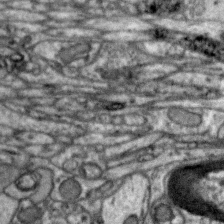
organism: Zebra finch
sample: Brain